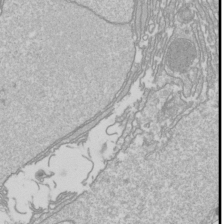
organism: Drosophila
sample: Cell division; meiosis; drosophila spermatocytes